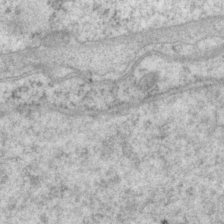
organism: P. pacificus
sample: Pharynx